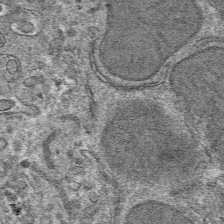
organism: Mouse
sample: Mouse hepatocytes